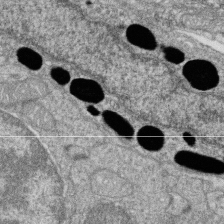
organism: Zebrafish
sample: Cilia; retinal pigment epithelium